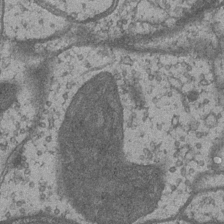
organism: Drosophila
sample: Optic medulla